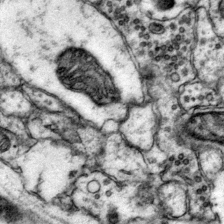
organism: Mouse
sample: Primary visual cortex